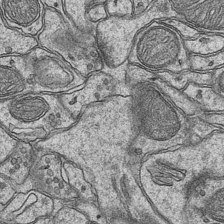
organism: Mouse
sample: CA1 Hippocampus